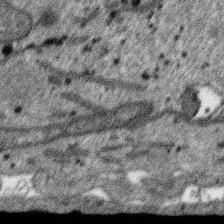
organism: Human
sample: Lung epithelial cells infected with SARS-CoV-2